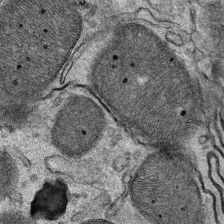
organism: Mouse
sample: Mouse Salivary gland